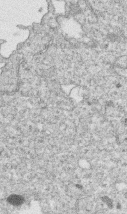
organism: Human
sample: HeLa cell HIV synapse